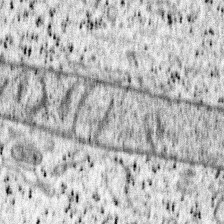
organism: Human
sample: HeLa cells